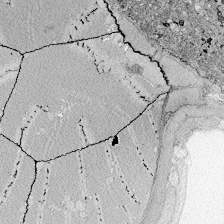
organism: Zebrafish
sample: Whole-Brain